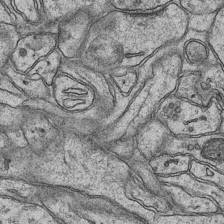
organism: Mouse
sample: CA1 Hippocampus